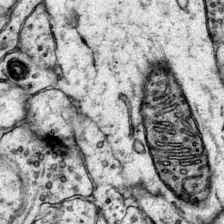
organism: Mouse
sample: Primary visual cortex